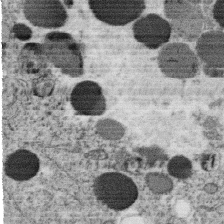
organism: C. elegans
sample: C. elegans oocyte; sperm cells